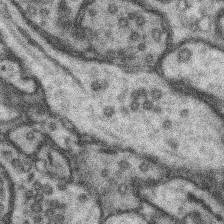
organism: Mouse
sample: Somatosensory cortex neuropil